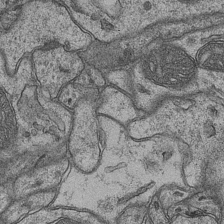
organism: Mouse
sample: CA1 Hippocampus